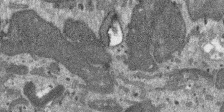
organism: Human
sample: Lung epithelial cells infected with SARS-CoV-2